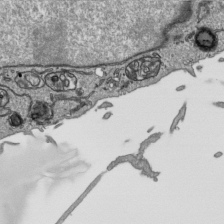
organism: Human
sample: Mitochondria in HCT116 cells